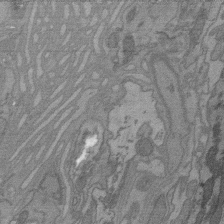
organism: C. elegans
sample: AFD neurons C. elegans